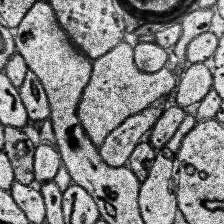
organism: Human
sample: Temporal Lobe